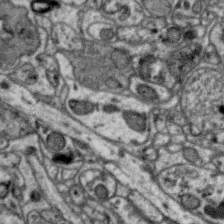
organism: Zebra finch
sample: Brain